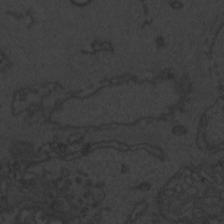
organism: Zebrafish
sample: Macrophage infected with Toxoplasma gondii